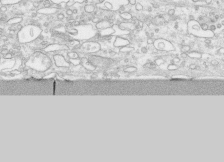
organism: Human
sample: CRL-1474